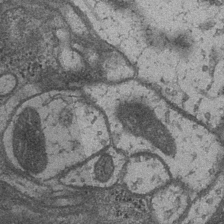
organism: Drosophila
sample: Optic medulla